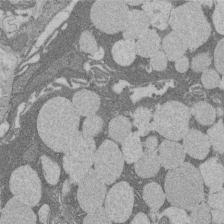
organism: Rat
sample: Salivary granule